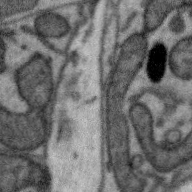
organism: Zebra finch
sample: Brain